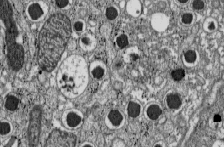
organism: C57BL Mouse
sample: Pancreatic islet